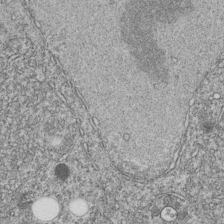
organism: C. elegans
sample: C. elegans embryo early stage